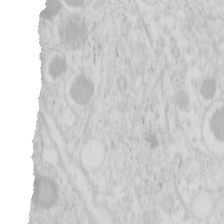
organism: Mouse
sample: Pancreas